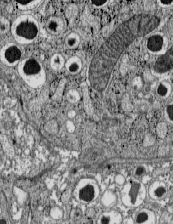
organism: C57BL Mouse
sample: Pancreatic islet